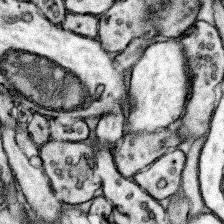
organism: Mouse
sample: Somatosensory cortex neuropil